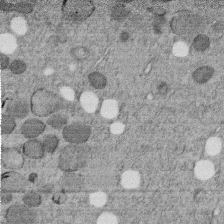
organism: C. elegans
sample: C. elegans embryo early stage